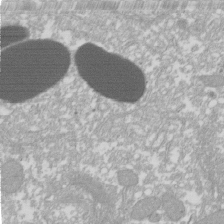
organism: Xenopus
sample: Cilia; centrioles in frog embryo cells